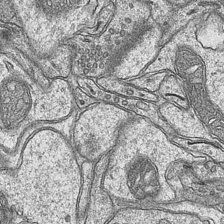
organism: Mouse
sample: CA1 Hippocampus